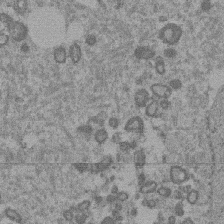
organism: Mouse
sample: Dividing mouse embryo 1 cell stage